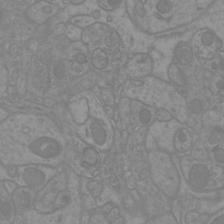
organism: Mouse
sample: Cortical neurons